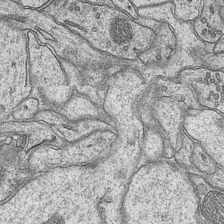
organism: Mouse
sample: CA1 Hippocampus